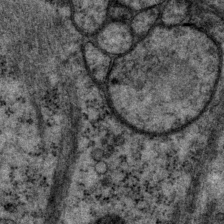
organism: P. pacificus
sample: Pharynx